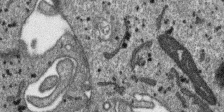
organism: Human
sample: Lung epithelial cells infected with SARS-CoV-2